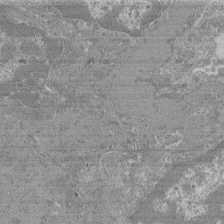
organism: Mouse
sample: Glomerulus